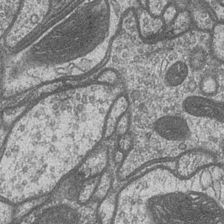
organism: Drosophila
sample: Optic medulla